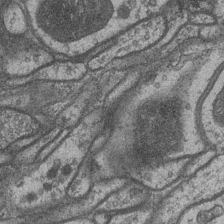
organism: Drosophila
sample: Optic medulla